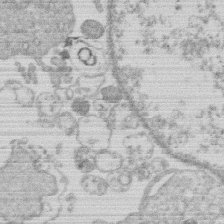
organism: Human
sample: Macrophage cells